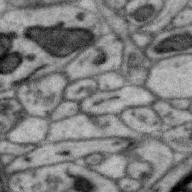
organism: Zebra finch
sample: Brain